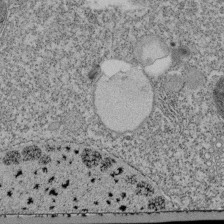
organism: Tetrahymena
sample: Cilia in tetrahymena